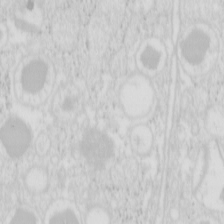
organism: Mouse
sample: Pancreas